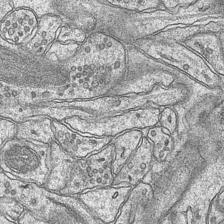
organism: Mouse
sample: CA1 Hippocampus